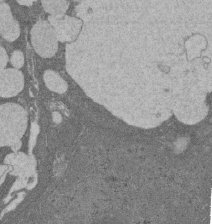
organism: Rat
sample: Salivary granule